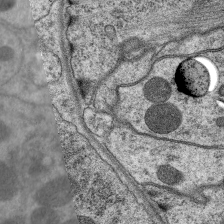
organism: C. elegans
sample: Pharynx